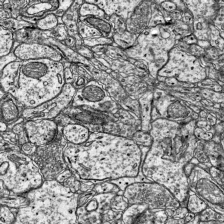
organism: Mouse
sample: Visual Cortex